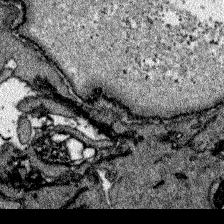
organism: Zebrafish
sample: Larval olfactory bulb